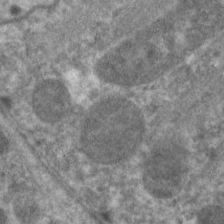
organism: C. elegans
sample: Pharynx